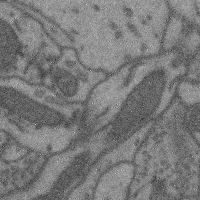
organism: Mouse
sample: Cerebral cortex